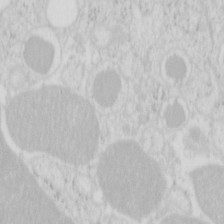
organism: Mouse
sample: Pancreas